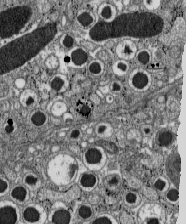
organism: C57BL Mouse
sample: Pancreatic islet